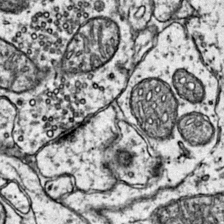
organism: Mouse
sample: Primary visual cortex